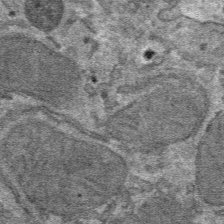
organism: Mouse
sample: Mouse hepatocytes